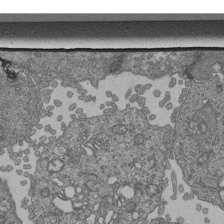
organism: Human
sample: Retinal organoid Rod and Cone cells